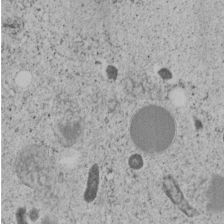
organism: C. elegans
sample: C. elegans embryo early stage